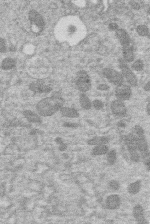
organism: Human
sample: Macrophage cells